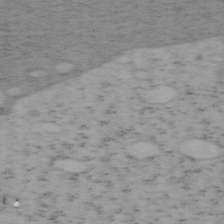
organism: Mouse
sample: OT-I killer T cells with ID8 ovarian cancer cells